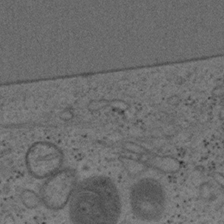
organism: Human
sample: HeLa cells